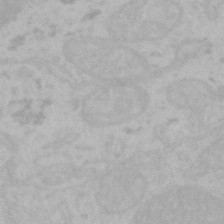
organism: Mouse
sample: Choroid plexus